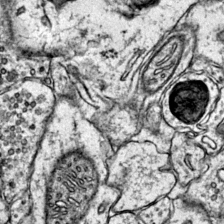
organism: Mouse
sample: Primary visual cortex